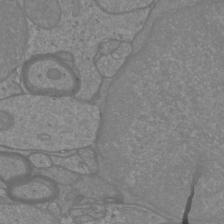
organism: Mouse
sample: Cortical neurons